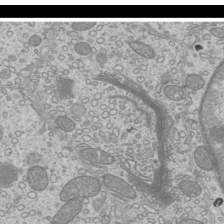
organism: Mouse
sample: Cilia; mouse epididymis